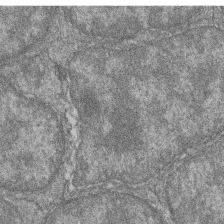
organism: Zebrafish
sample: Cilia; retinal pigment epithelium